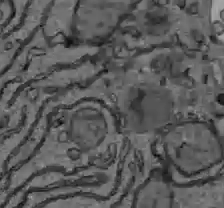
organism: C57BL Mouse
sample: Liver